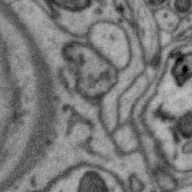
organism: Zebra finch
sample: Brain